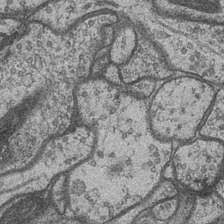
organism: Drosophila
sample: Optic medulla